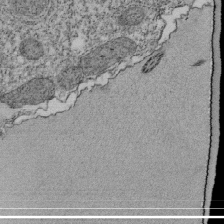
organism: Tetrahymena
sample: Cilia in tetrahymena